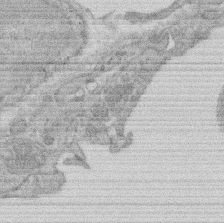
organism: Rat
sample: Salivary granule